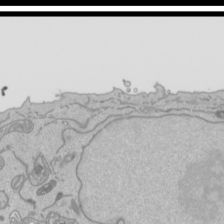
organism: Human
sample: Mitochondria in HCT116 cells